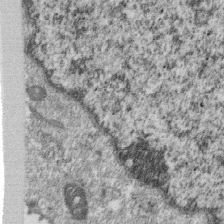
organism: African green monkey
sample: Vero E6 cells infected with SARS-CoV-2